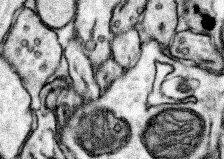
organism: Mouse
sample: Somatosensory cortex neuropil